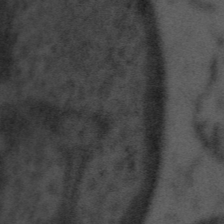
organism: Tuwongella immobilis